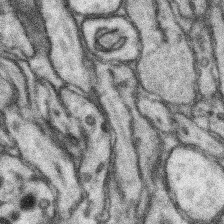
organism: Mouse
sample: Somatosensory cortex neuropil